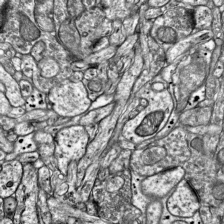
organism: Mouse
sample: Visual Cortex